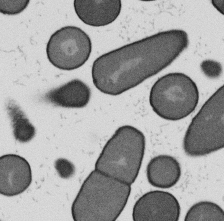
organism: B. subtilis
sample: Bacterial spore